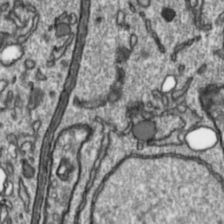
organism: Toxoplasma gondii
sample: Parasites in a vacuole inside a host cell